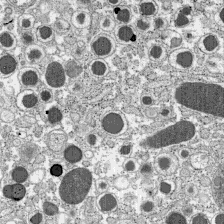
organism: C57BL Mouse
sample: Pancreatic islet